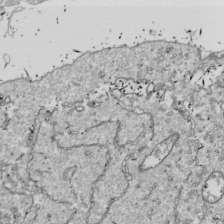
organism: Drosophila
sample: Cell division; meiosis; drosophila spermatocytes